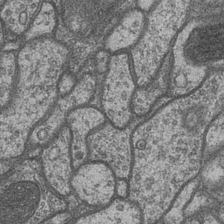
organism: Drosophila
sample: Optic medulla